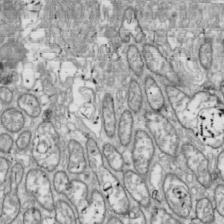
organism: Drosophila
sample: Cell division; meiosis; drosophila spermatocytes